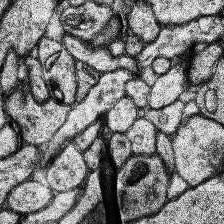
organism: Human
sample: Temporal Lobe